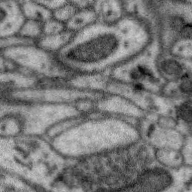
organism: Zebra finch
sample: Brain